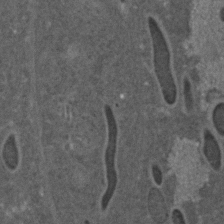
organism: C. elegans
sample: C. elegans embryo